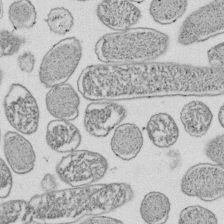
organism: E. coli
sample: Bacterial nucleoid